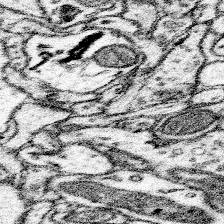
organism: Mouse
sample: Somatosensory cortex neuropil